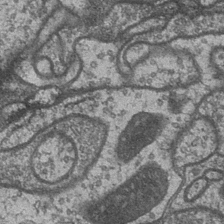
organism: Drosophila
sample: Optic medulla